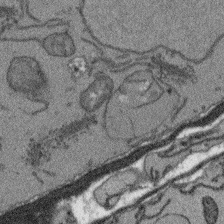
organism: Arabidopsis thaliana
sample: Root tip